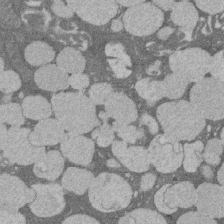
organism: Rat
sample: Salivary granule